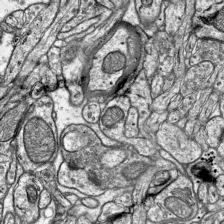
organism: Mouse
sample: Visual Cortex